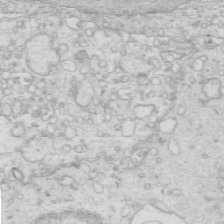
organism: Mouse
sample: Multiciliated cells